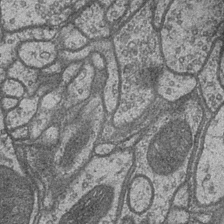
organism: Drosophila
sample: Optic medulla